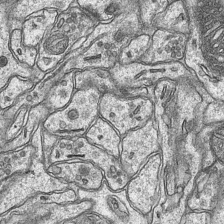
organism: Mouse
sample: CA1 Hippocampus